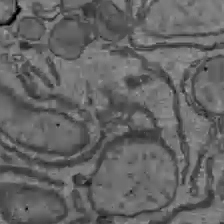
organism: C57BL Mouse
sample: Liver